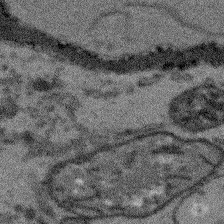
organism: Arabidopsis thaliana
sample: Root tip